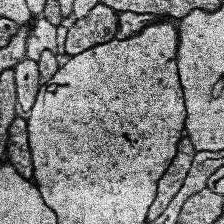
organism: Human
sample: Temporal Lobe